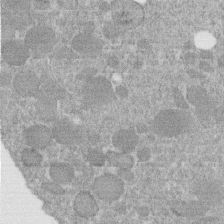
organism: C. elegans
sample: C. elegans embryo early stage